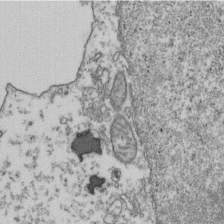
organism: Human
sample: Activated Jurkat CD4+ T cells